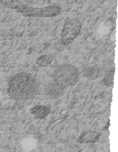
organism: C. elegans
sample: C. elegans embryo early stage